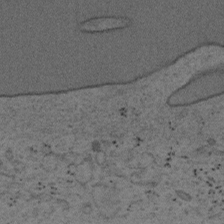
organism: Human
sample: HeLa cells